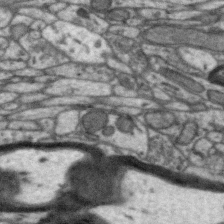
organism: Zebra finch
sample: Brain